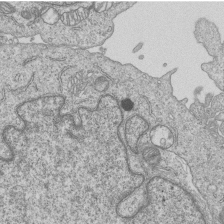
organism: Human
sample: MDA-MB-231 cells